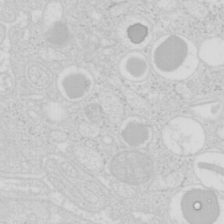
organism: Mouse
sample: Pancreas